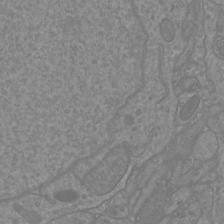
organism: Mouse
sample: Cortical neurons